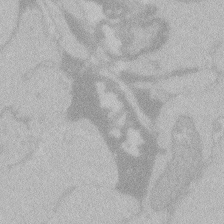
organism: Zebrafish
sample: Macrophage infected with Toxoplasma gondii